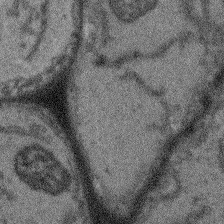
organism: Arabidopsis thaliana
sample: Root tip